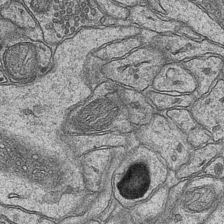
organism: Mouse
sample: CA1 Hippocampus